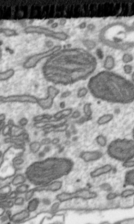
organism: Toxoplasma gondii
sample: Parasites in a vacuole inside a host cell